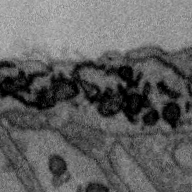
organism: Zebra finch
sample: Brain